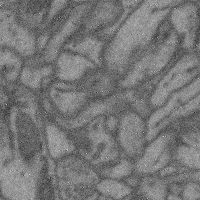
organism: Mouse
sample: Cerebral cortex